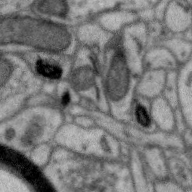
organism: Zebra finch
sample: Brain